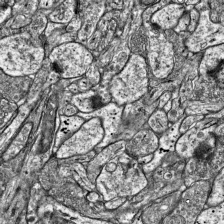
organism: Mouse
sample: Visual Cortex